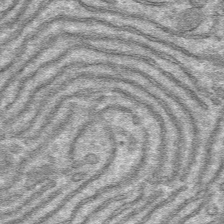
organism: Mouse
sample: Mouse hepatocytes